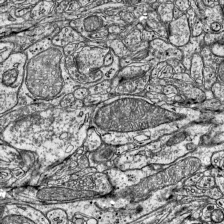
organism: Mouse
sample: Visual Cortex